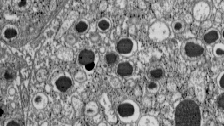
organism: C57BL Mouse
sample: Pancreatic islet